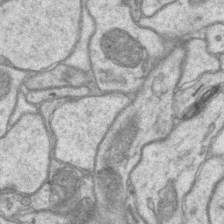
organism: Mouse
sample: CA1 Hippocampus